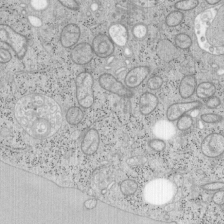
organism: Mouse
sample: OT-I killer T cells with ID8 ovarian cancer cells